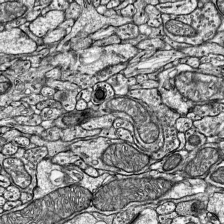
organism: Mouse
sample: Visual Cortex